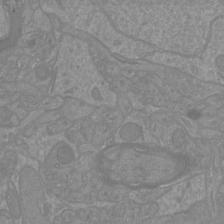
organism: Mouse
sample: Cortical neurons